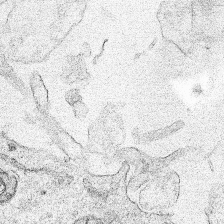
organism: Human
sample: Mitochondria in HCT116 cells